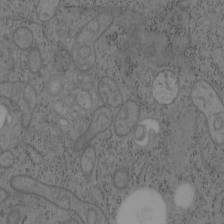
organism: Mouse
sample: OT-I killer T cells with ID8 ovarian cancer cells